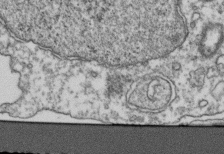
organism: Human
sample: Activated Jurkat CD4+ T cells